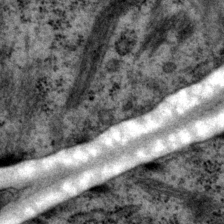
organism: P. pacificus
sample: Pharynx